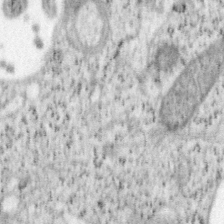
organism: Mouse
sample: OT-I killer T cells with ID8 ovarian cancer cells